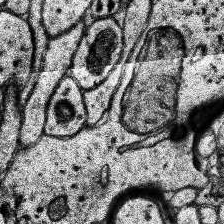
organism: Human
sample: Temporal Lobe